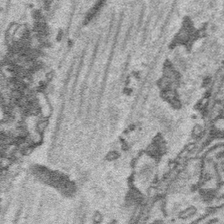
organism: Platynereis dumerilii